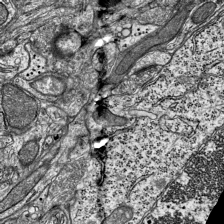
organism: Mouse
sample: Visual Cortex